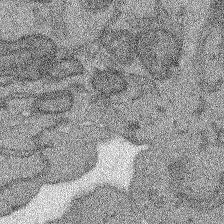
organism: Human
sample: HeLa cells